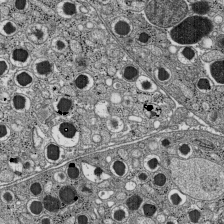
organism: C57BL Mouse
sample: Pancreatic islet